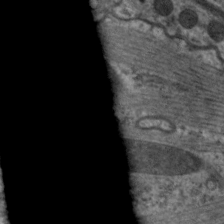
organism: C. elegans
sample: Pharynx